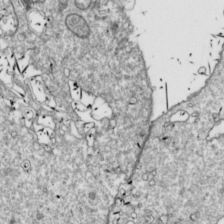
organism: Drosophila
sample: Cell division; meiosis; drosophila spermatocytes